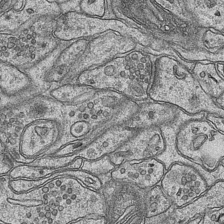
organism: Mouse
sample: CA1 Hippocampus